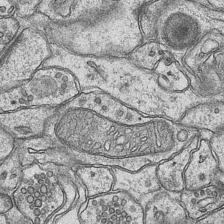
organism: Mouse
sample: CA1 Hippocampus